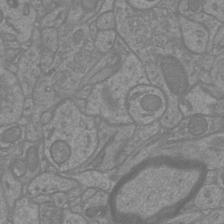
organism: Mouse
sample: Cortical neurons